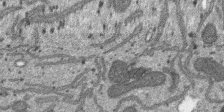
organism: Human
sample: Lung epithelial cells infected with SARS-CoV-2